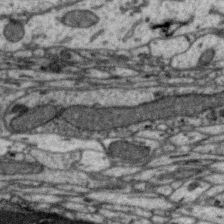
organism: Zebra finch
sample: Brain